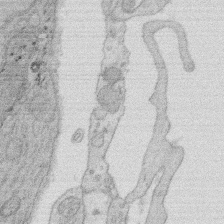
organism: Rat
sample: Salivary granule